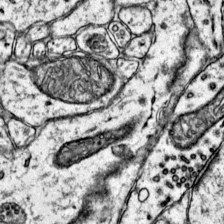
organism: Mouse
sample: Primary visual cortex